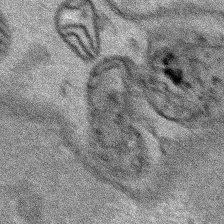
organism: Human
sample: Mitochondria in HCT116 cells